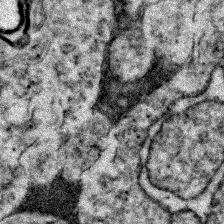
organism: Zebrafish